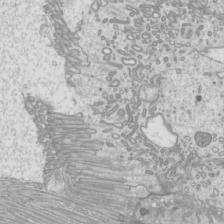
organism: Mouse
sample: Cilia; mouse epididymis